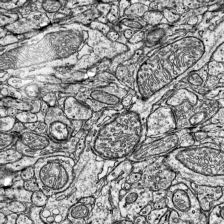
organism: Mouse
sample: Visual Cortex